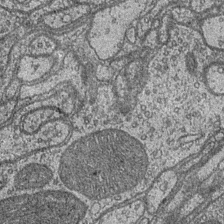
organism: Drosophila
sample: Optic medulla